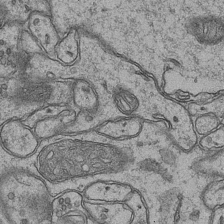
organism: Mouse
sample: CA1 Hippocampus